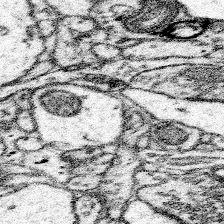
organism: Mouse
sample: Somatosensory cortex neuropil